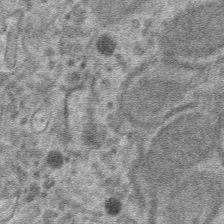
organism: Mouse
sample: Mouse hepatocytes